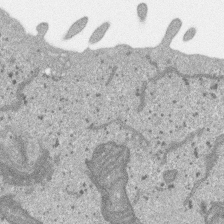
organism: Human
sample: Lung epithelial cells infected with SARS-CoV-2